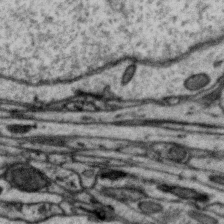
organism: Zebra finch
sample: Brain